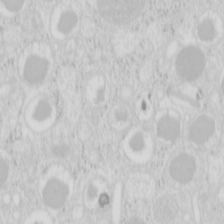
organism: Mouse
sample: Pancreas